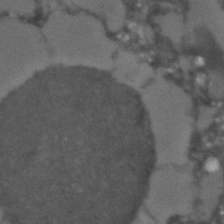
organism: C. elegans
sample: C. elegans embryo